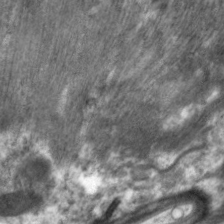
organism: C. elegans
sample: Pharynx